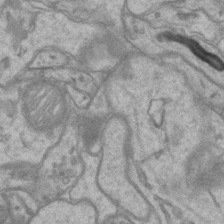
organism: Mouse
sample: CA1 Hippocampus